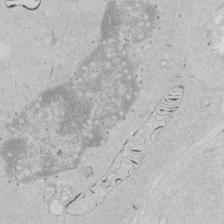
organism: Human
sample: Mitochondria in HCT116 cells